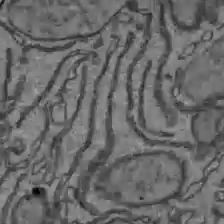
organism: C57BL Mouse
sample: Liver